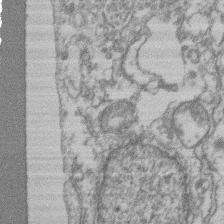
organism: Mouse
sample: T cell stromal cell synapse